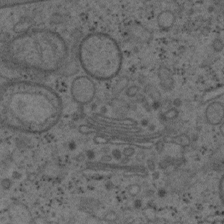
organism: Human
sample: HeLa cells